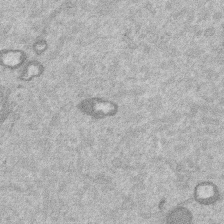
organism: Mouse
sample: Dividing mouse embryo 1 cell stage